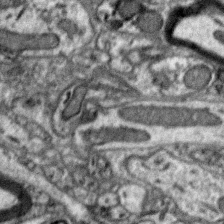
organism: Zebra finch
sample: Brain